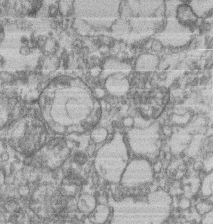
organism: Mouse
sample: T cell stromal cell synapse